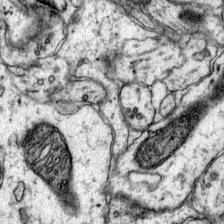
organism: Mouse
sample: Primary visual cortex